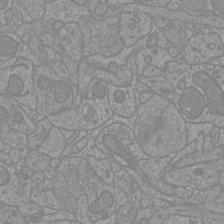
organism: Mouse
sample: Cortical neurons